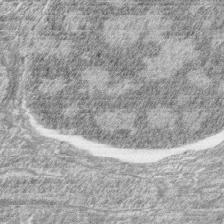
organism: Zebrafish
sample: synaptic ribbons in rod cells and cone cells